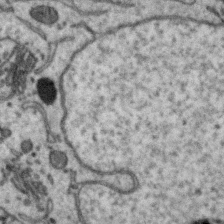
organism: Zebra finch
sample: Brain